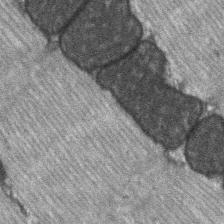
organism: C57BL Mouse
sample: Soleus